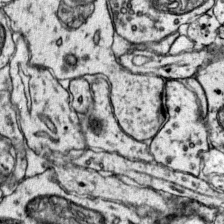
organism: Mouse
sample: Primary visual cortex